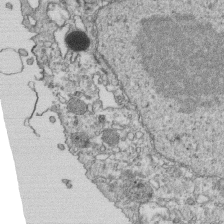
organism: Human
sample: HeLa cell HIV synapse